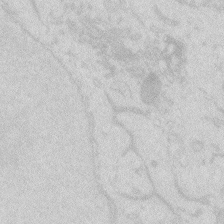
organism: Zebrafish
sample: Macrophage